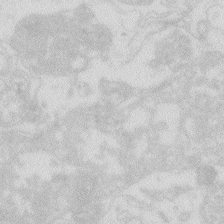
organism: Zebrafish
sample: Macrophage